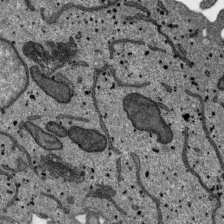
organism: Human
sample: Lung epithelial cells, uninfected (mock) control